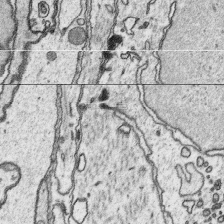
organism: Platynereis dumerilii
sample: Parapodia